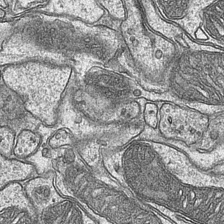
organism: Mouse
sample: CA1 Hippocampus